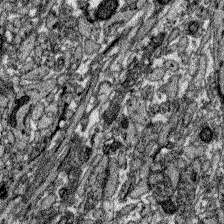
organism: Zebrafish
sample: Larval olfactory bulb